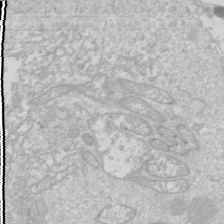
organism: Drosophila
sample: Cell division; meiosis; drosophila spermatocytes